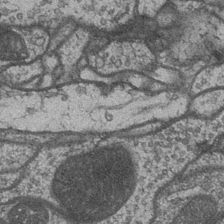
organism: Drosophila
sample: Optic medulla